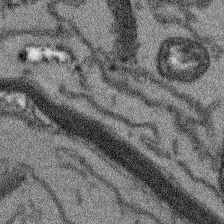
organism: Arabidopsis thaliana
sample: Root tip